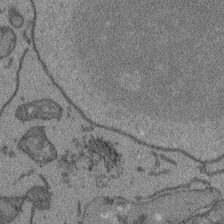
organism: Arabidopsis thaliana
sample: Root tip